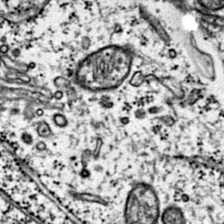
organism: Mouse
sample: Primary visual cortex